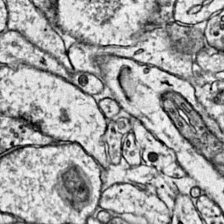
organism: Mouse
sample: Primary visual cortex